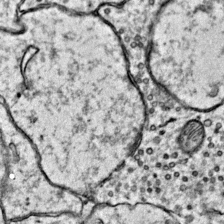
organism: Mouse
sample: Primary visual cortex